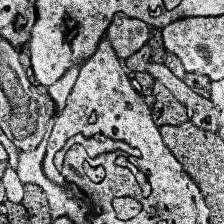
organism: Human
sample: Temporal Lobe